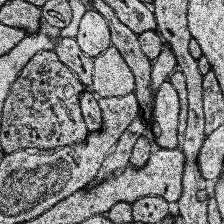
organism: Human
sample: Temporal Lobe